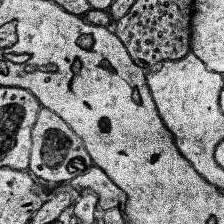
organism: Human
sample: Temporal Lobe